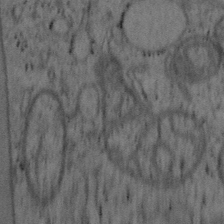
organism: Human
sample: HeLa cells